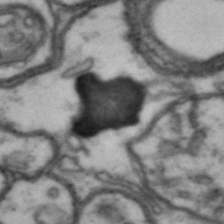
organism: Drosophila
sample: Brain